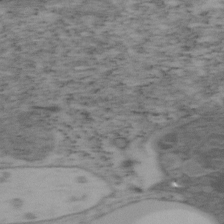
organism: Mouse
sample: OT-I killer T cells with ID8 ovarian cancer cells